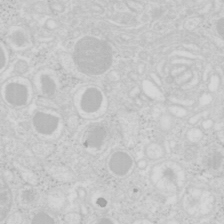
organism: Mouse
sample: Pancreas